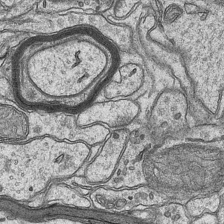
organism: Mouse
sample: CA1 Hippocampus